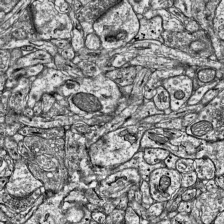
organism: Mouse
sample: Visual Cortex